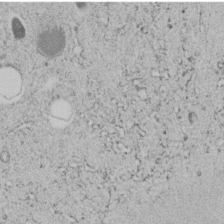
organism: C. elegans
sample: C. elegans embryo early stage